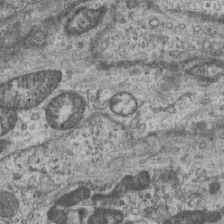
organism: Mouse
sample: Centriole in ependymal cells